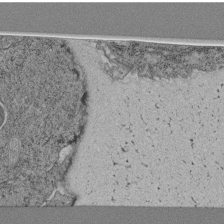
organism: C. elegans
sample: C. elegans pharynx